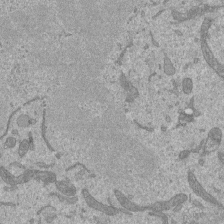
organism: Mouse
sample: ED-1 cell nuclei; centrioles